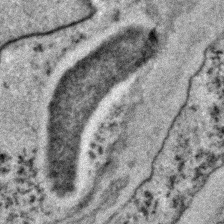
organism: C. elegans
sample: C. elegans embryo